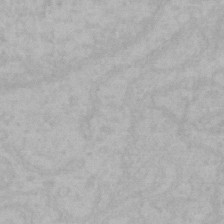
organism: Mouse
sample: Choroid plexus